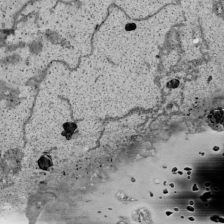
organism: Human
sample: Mitochondria in HCT116 cells